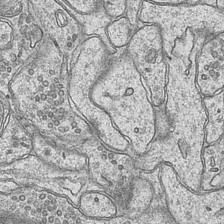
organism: Mouse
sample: CA1 Hippocampus